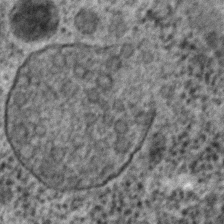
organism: C. elegans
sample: C. elegans embryo